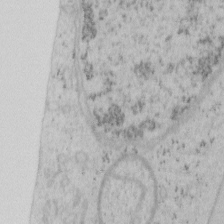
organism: Human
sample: HeLa cells